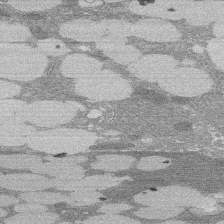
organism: Rat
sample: Salivary granule